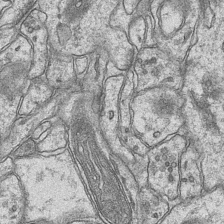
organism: Mouse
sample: CA1 Hippocampus